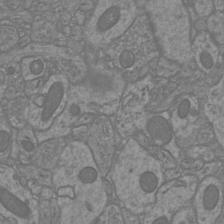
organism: Mouse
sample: Cortical neurons